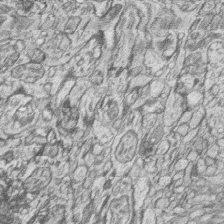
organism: Zebrafish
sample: synaptic ribbons in rod cells and cone cells